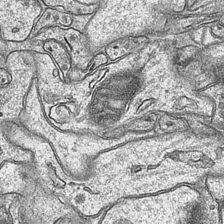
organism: Mouse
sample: CA1 Hippocampus